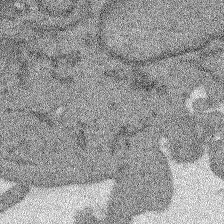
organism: Human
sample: HeLa cells